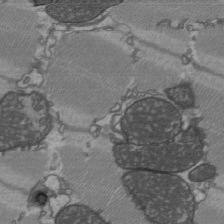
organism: C57BL Mouse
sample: Heart